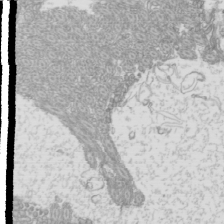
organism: Mouse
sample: Cilia; mouse epididymis